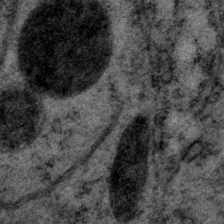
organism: P. pacificus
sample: Pharynx